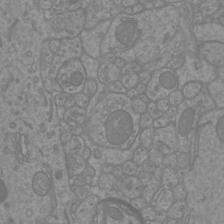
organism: Mouse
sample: Cortical neurons